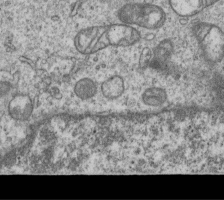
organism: Human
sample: MDA-MB-231 cells